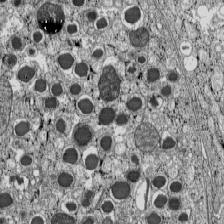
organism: C57BL Mouse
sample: Pancreatic islet